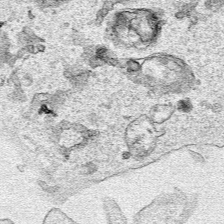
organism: Human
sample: Mitochondria in HCT116 cells